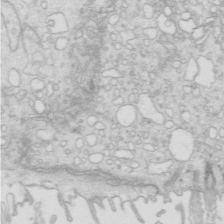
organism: Mouse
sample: Multiciliated cells